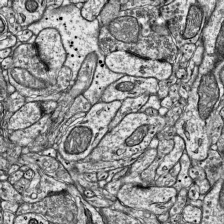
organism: Mouse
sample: Visual Cortex